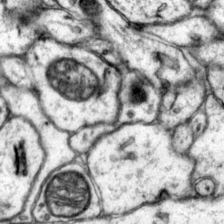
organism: Mouse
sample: Primary visual cortex